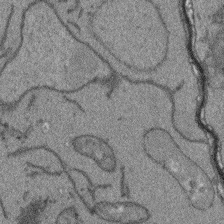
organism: Arabidopsis thaliana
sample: Root tip